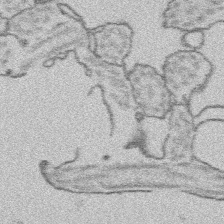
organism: Platynereis dumerilii